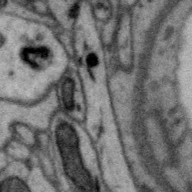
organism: Zebra finch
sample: Brain